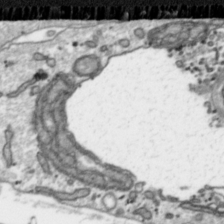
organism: Toxoplasma gondii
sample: Parasites in a vacuole inside a host cell